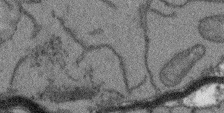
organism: Arabidopsis thaliana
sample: Root tip